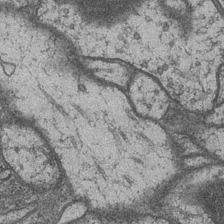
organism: Drosophila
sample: Optic medulla